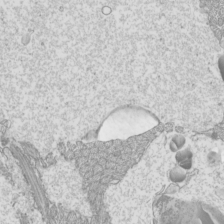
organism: Mouse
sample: Cilia; mouse epididymis